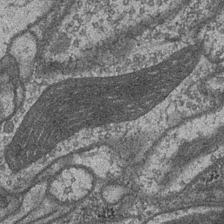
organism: Drosophila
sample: Optic medulla